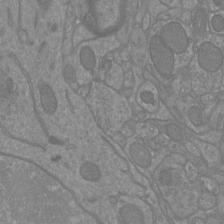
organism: Mouse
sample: Cortical neurons